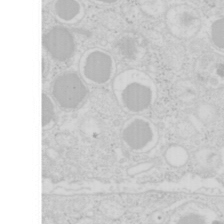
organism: Mouse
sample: Pancreas